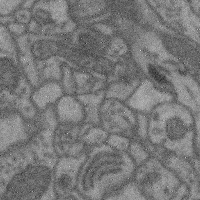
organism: Mouse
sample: Cerebral cortex